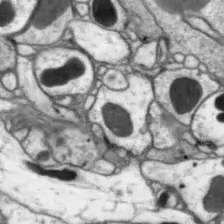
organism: Drosophila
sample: Optic lobe